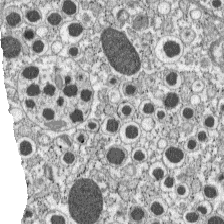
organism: C57BL Mouse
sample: Pancreatic islet